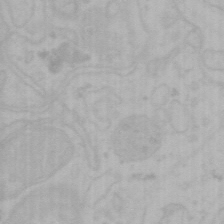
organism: Mouse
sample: Choroid plexus